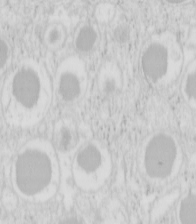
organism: Mouse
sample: Pancreas